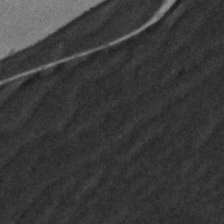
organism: Zebrafish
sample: Zebrafish embryo